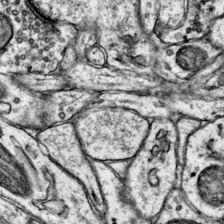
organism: Mouse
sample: Primary visual cortex